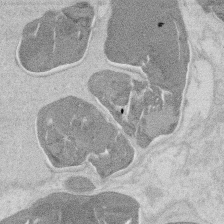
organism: Mouse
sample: T cell stromal cell synapse